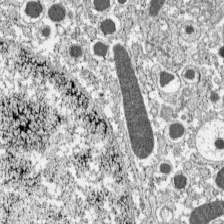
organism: C57BL Mouse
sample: Pancreatic islet